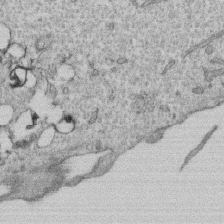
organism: Human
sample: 1205lu cells